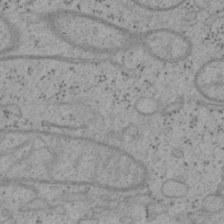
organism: Human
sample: HeLa cells